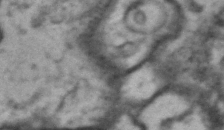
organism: Drosophila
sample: Brain